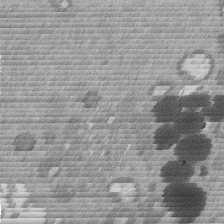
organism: Mouse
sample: Dividing mouse embryo 1 cell stage